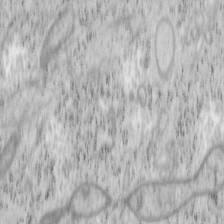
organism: Human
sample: HeLa cells